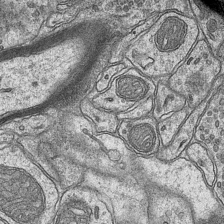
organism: Mouse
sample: CA1 Hippocampus